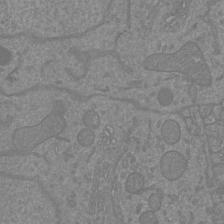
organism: Mouse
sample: Cortical neurons